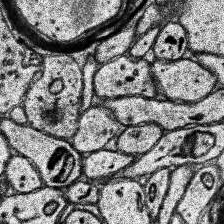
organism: Human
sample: Temporal Lobe